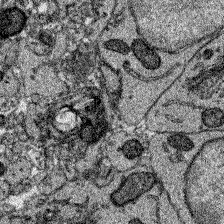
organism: Zebrafish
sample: Larval olfactory bulb